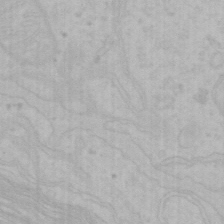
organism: Mouse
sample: Choroid plexus